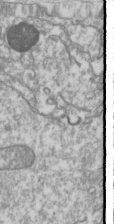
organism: Drosophila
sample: Cell division; meiosis; drosophila spermatocytes